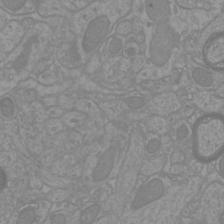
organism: Mouse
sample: Cortical neurons